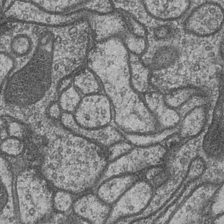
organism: Drosophila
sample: Optic medulla